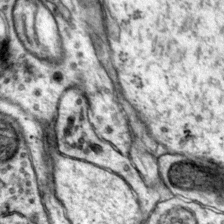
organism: Mouse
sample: Primary visual cortex